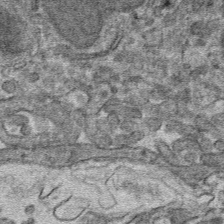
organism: Mouse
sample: Mouse hepatocytes